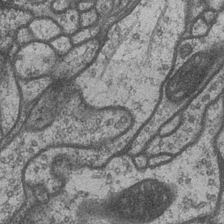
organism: Drosophila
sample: Optic medulla